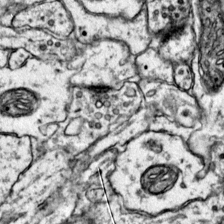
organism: Mouse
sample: Primary visual cortex